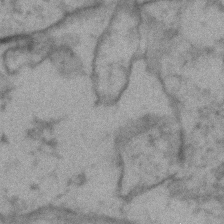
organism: Zebrafish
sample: Zebrafish embryo